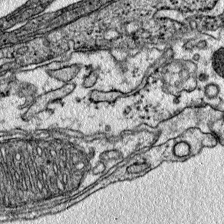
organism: Mouse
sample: Primary visual cortex